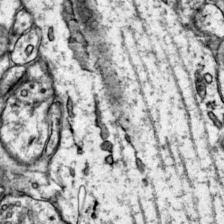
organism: Mouse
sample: Primary visual cortex